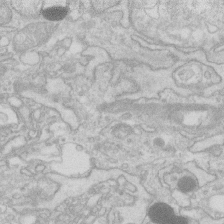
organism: Human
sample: Fibroblast cells